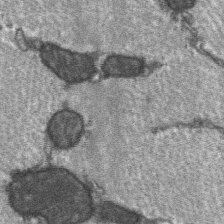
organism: C57BL Mouse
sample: Soleus